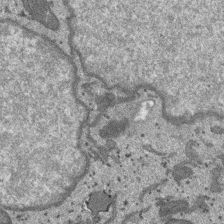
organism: Human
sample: Lung epithelial cells infected with SARS-CoV-2